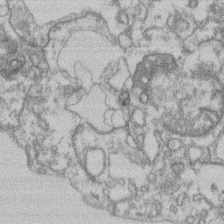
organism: Mouse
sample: T cell stromal cell synapse